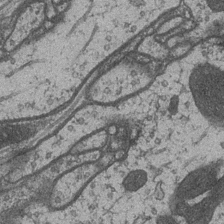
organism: Drosophila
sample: Optic medulla